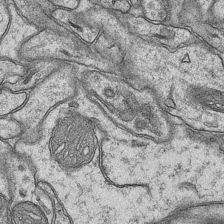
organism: Mouse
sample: CA1 Hippocampus